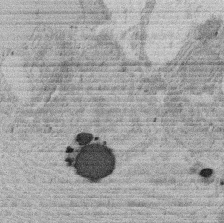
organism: Rat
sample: Salivary granule